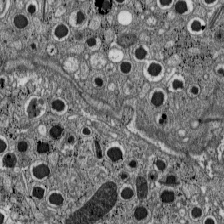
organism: C57BL Mouse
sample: Pancreatic islet